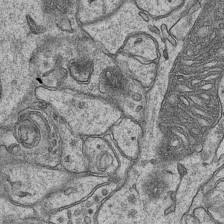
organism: Mouse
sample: CA1 Hippocampus